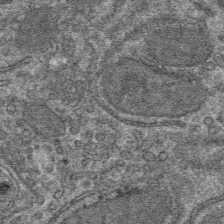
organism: Mouse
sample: Mouse hepatocytes